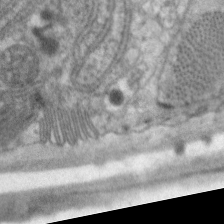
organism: C. elegans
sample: Pharynx